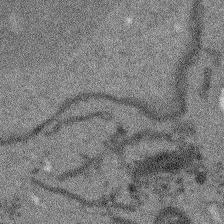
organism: Arabidopsis thaliana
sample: Root tip